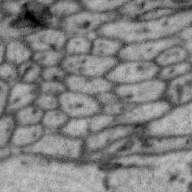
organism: Zebra finch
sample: Brain